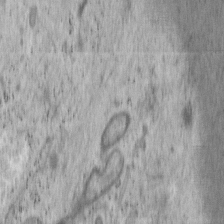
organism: Human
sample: HeLa cells